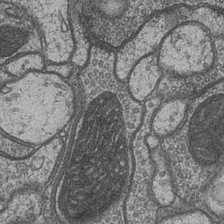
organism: Drosophila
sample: Optic medulla